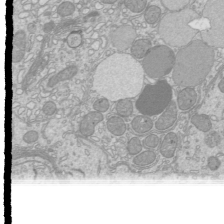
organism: Mouse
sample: Cilia; mouse epididymis